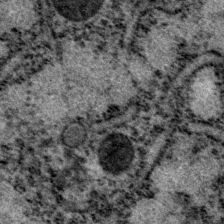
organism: P. pacificus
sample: Pharynx